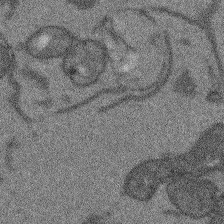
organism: Arabidopsis thaliana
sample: Root tip